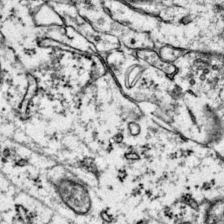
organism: Mouse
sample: Primary visual cortex